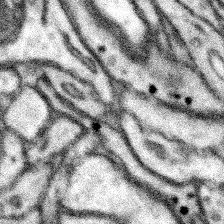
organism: Mouse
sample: Somatosensory cortex neuropil